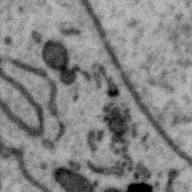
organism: Zebra finch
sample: Brain